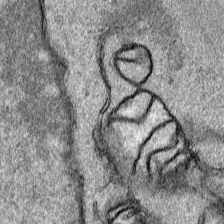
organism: Human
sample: Mitochondria in HCT116 cells